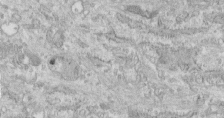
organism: Human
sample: Centriole in fibroblast cells